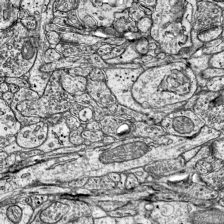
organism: Mouse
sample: Visual Cortex